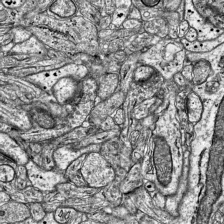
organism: Mouse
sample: Visual Cortex